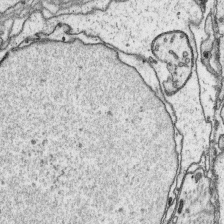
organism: Platynereis dumerilii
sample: Parapodia